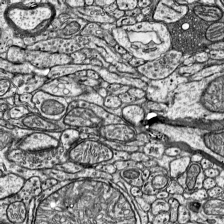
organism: Mouse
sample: Visual Cortex